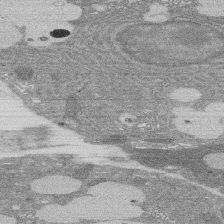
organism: Rat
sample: Salivary granule